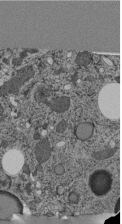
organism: C. elegans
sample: C. elegans pharynx